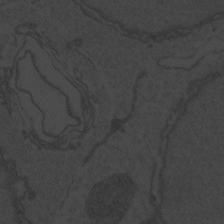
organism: Zebrafish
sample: Macrophage infected with Toxoplasma gondii